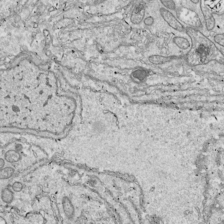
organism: Drosophila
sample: Cell division; meiosis; drosophila spermatocytes